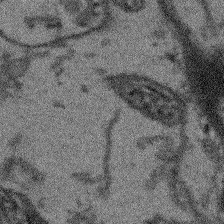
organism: Arabidopsis thaliana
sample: Root tip